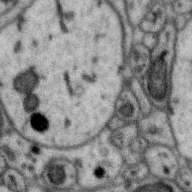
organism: Zebra finch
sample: Brain